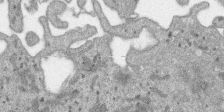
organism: Human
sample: Lung epithelial cells infected with SARS-CoV-2